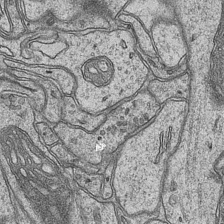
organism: Mouse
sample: CA1 Hippocampus